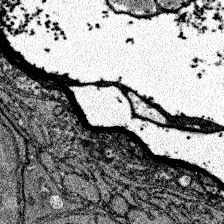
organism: Zebrafish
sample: Larval olfactory bulb